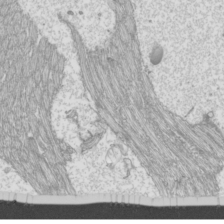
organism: Mouse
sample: Cilia; mouse epididymis